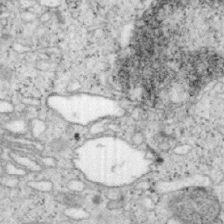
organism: Mouse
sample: OT-I killer T cells with ID8 ovarian cancer cells